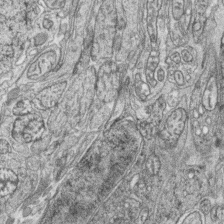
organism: Zebrafish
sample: synaptic ribbons in rod cells and cone cells